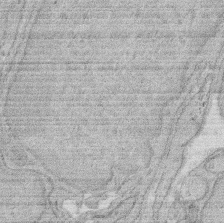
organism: Rat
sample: Salivary granule